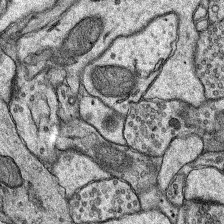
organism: Rat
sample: Hippocampus